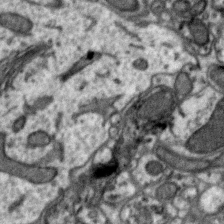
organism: Zebra finch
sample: Brain